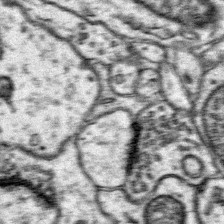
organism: Mouse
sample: Primary visual cortex